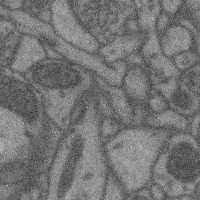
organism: Mouse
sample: Cerebral cortex